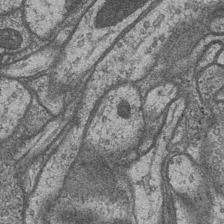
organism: Drosophila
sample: Optic medulla